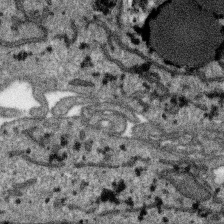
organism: Human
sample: Lung epithelial cells infected with SARS-CoV-2